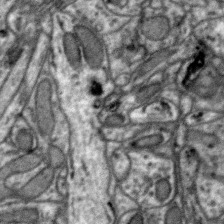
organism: Zebra finch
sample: Brain